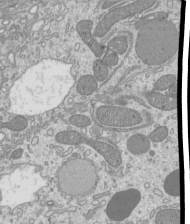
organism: Mouse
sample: Cilia; mouse epididymis